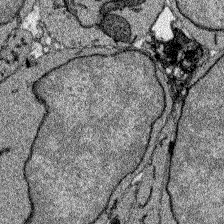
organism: Zebrafish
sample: Larval olfactory bulb